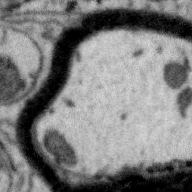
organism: Zebra finch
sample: Brain